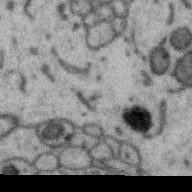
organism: Zebra finch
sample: Brain